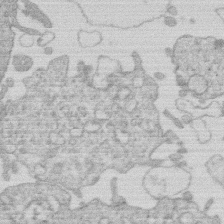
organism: Human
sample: Macrophage cells